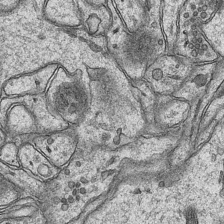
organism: Mouse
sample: CA1 Hippocampus